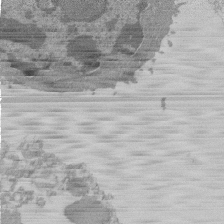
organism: Mouse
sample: Activated Pmel transgenic CD8+ T Cells